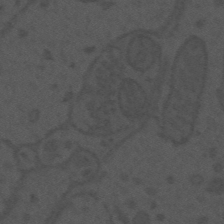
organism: Mouse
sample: Suprachiasmatic nucleus